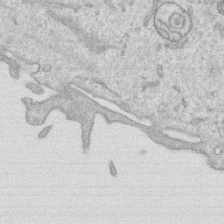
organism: Human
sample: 1205lu cells